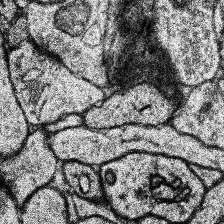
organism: Human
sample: Temporal Lobe